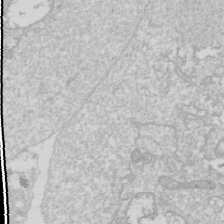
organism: Drosophila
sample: Cell division; meiosis; drosophila spermatocytes